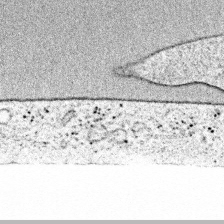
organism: Human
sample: HeLa cells